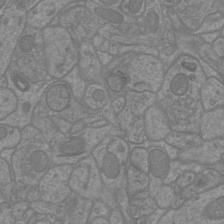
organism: Mouse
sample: Cortical neurons